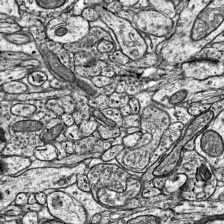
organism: Mouse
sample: Visual Cortex